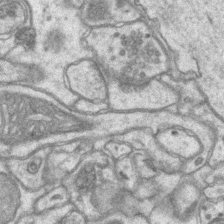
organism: Mouse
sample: CA1 Hippocampus